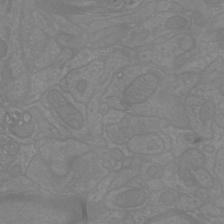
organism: Mouse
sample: Cortical neurons